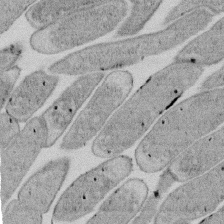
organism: E. coli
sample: Bacterial nucleoid